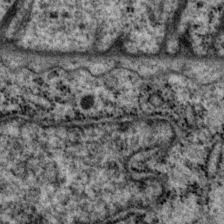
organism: P. pacificus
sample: Pharynx